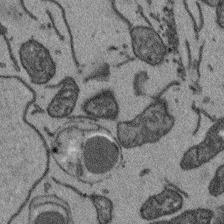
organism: Arabidopsis thaliana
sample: Root tip